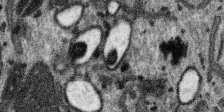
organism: Human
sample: Lung epithelial cells infected with SARS-CoV-2